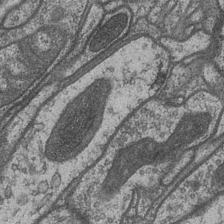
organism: Drosophila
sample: Optic medulla